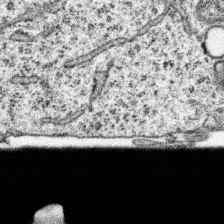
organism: Human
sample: HeLa cells